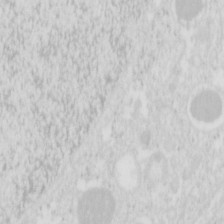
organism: Mouse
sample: Pancreas